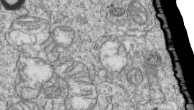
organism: Human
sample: HeLa cell HIV synapse